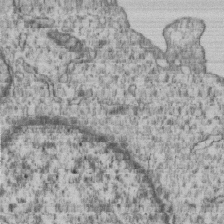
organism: Human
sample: MDA-MB-231 cells